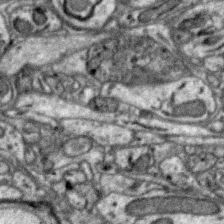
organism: Zebra finch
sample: Brain